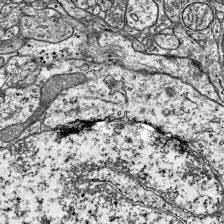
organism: Mouse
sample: Visual Cortex